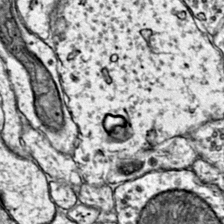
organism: Mouse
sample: Primary visual cortex